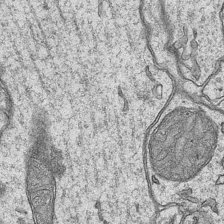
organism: Mouse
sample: CA1 Hippocampus